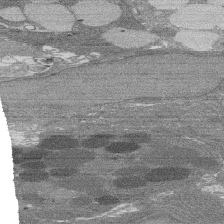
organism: Rat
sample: Salivary granule